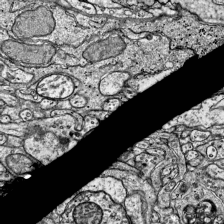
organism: Mouse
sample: Visual Cortex